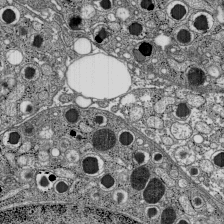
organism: C57BL Mouse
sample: Pancreatic islet